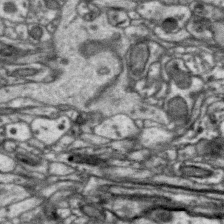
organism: Zebra finch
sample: Brain